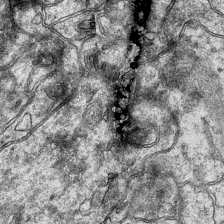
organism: Mouse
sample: CA1 Hippocampus